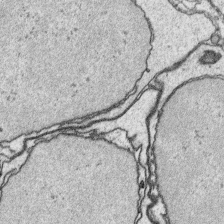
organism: Platynereis dumerilii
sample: Parapodia